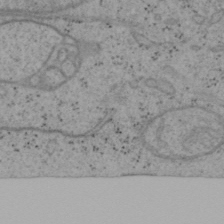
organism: Human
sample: HeLa cells